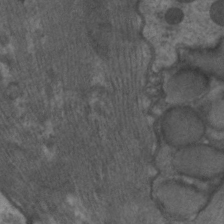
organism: C. elegans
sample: Pharynx